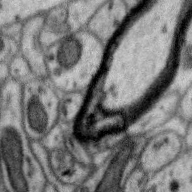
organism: Zebra finch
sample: Brain